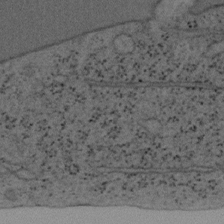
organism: Human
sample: HeLa cells